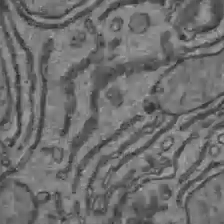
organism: C57BL Mouse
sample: Liver